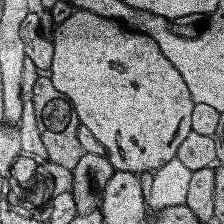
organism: Human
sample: Temporal Lobe